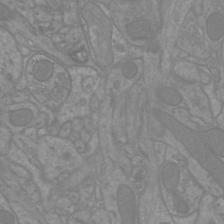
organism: Mouse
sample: Cortical neurons